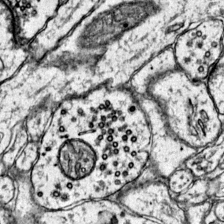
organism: Mouse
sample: Primary visual cortex